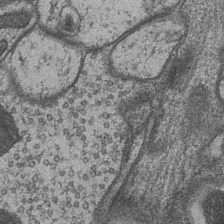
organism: Drosophila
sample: Optic medulla